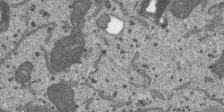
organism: Human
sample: Lung epithelial cells infected with SARS-CoV-2